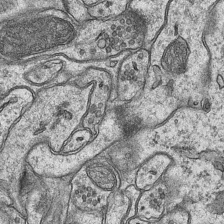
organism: Mouse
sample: CA1 Hippocampus